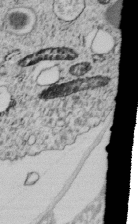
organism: C. elegans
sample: C. elegans embryo early stage